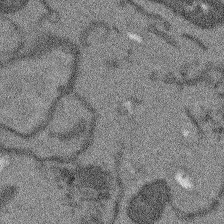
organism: Arabidopsis thaliana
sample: Root tip